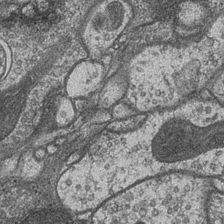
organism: Drosophila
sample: Optic medulla